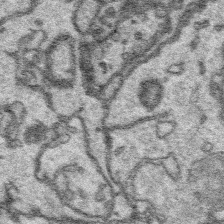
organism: Platynereis dumerilii